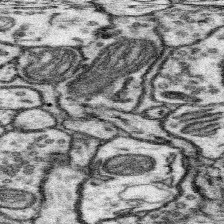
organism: Mouse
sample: Somatosensory cortex neuropil